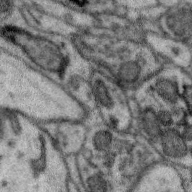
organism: Zebra finch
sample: Brain